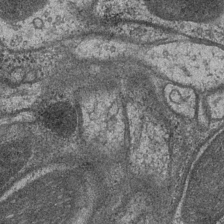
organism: Drosophila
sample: Optic medulla